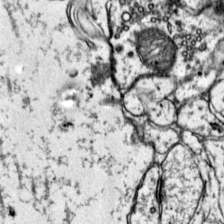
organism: Mouse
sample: Primary visual cortex